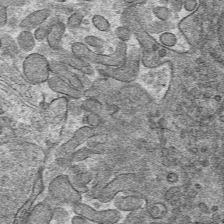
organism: Mouse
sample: Mouse hepatocytes